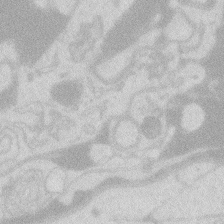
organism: Zebrafish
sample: Macrophage